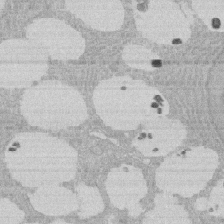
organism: Rat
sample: Salivary granule